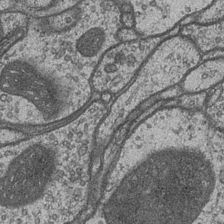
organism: Drosophila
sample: Optic medulla